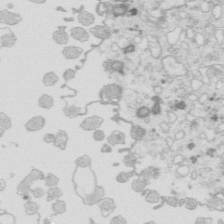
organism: Mouse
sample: Multiciliated cells